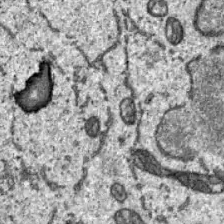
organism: Human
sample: HeLa cells